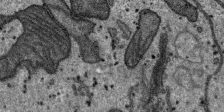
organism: Human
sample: Lung epithelial cells, uninfected (mock) control